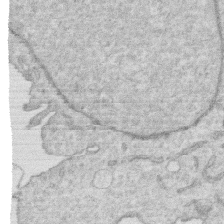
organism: Human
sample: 1205lu cells